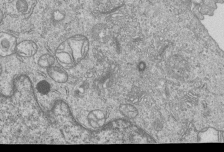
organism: Human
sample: MDA-MB-231 cells